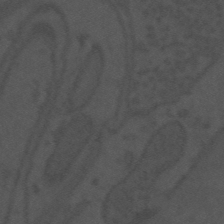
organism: Mouse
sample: Suprachiasmatic nucleus